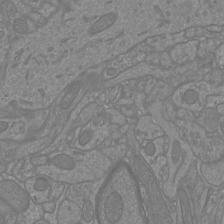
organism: Mouse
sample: Cortical neurons